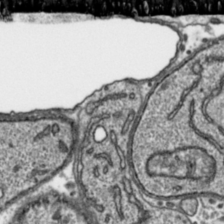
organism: Toxoplasma gondii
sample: Parasites in a vacuole inside a host cell